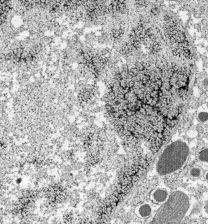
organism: C57BL Mouse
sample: Pancreatic islet